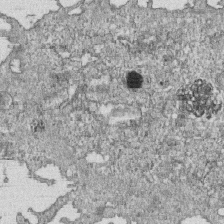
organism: Human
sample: HeLa cell HIV synapse